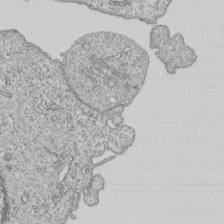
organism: Human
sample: MDA-MB-231 cells